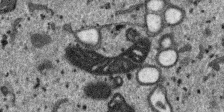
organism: Human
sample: Lung epithelial cells infected with SARS-CoV-2